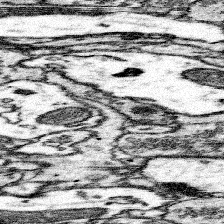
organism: Mouse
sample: Somatosensory cortex neuropil